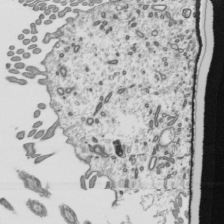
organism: Mouse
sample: Mouse epididymis efferent ductule cilia